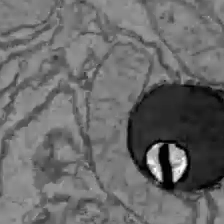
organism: C57BL Mouse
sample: Liver